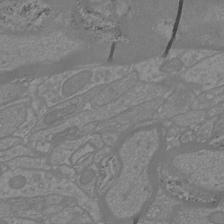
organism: Mouse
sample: Cortical neurons